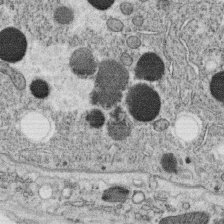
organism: C. elegans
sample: C. elegans oocyte; sperm cells